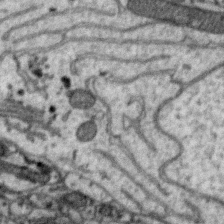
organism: Zebra finch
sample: Brain